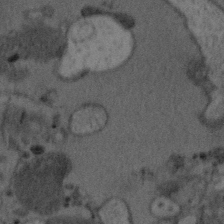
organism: Human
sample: HeLa cells